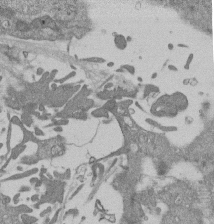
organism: Mouse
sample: ED-1 cell nuclei; centrioles